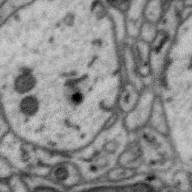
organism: Zebra finch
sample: Brain